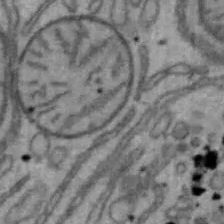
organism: Mouse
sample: Liver